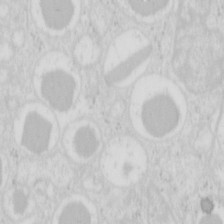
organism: Mouse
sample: Pancreas